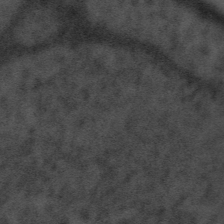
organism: Tuwongella immobilis